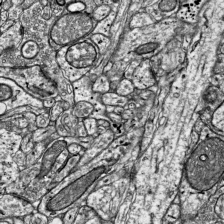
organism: Mouse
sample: Visual Cortex